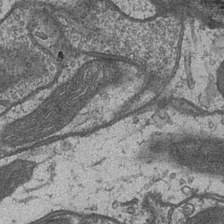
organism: Drosophila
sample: Optic medulla